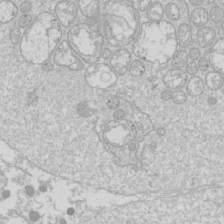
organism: Drosophila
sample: Cell division; meiosis; drosophila spermatocytes